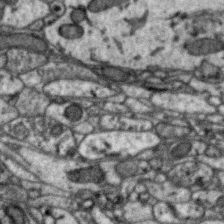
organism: Zebra finch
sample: Brain